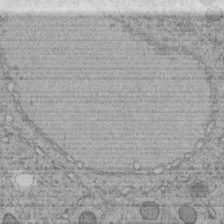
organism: C. elegans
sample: C. elegans embryo early stage